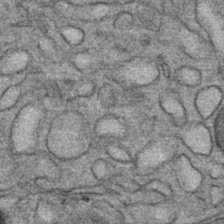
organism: Mouse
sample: Mouse Salivary gland